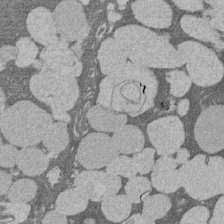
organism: Rat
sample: Salivary granule